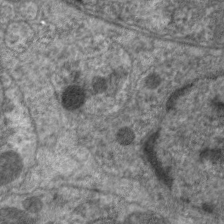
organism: C. elegans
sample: Pharynx